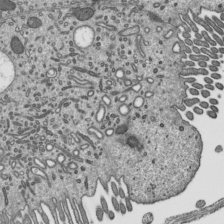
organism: Mouse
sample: Mouse epididymis efferent ductule cilia